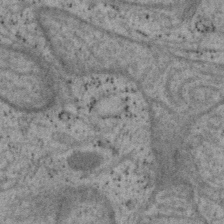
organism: Human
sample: HeLa cells